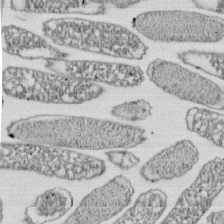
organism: E. coli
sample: Bacterial nucleoid